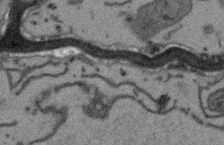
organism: Arabidopsis thaliana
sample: Root tip